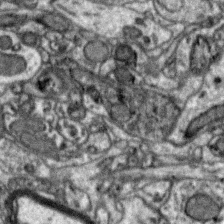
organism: Zebra finch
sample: Brain